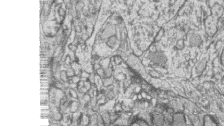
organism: Zebrafish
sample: synaptic ribbons in rod cells and cone cells